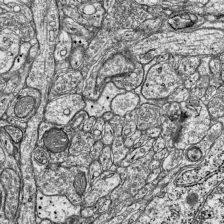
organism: Mouse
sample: Visual Cortex